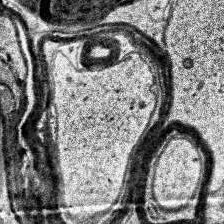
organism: Human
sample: Temporal Lobe